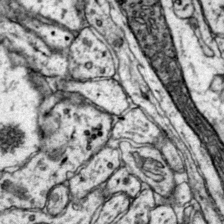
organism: Mouse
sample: Primary visual cortex